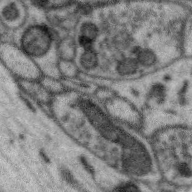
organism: Zebra finch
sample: Brain